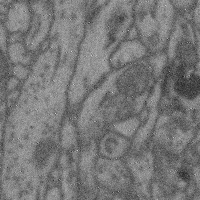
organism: Mouse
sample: Cerebral cortex